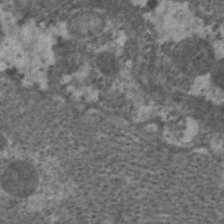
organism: C. elegans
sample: Pharynx